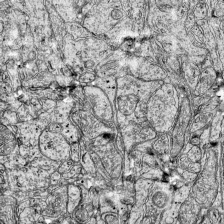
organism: Mouse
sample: Visual Cortex